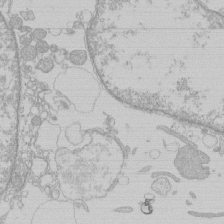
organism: Human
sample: Macrophage cells